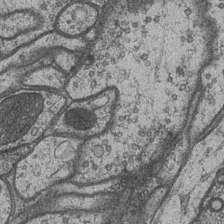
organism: Drosophila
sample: Optic medulla